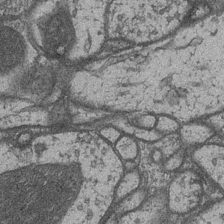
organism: Drosophila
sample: Optic medulla